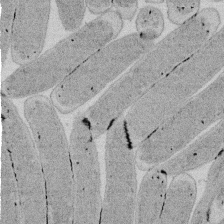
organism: E. coli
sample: Bacterial nucleoid